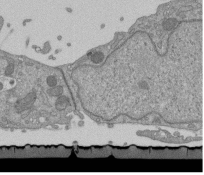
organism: Mouse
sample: ED-1 cell nuclei; centrioles